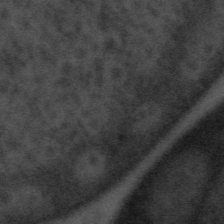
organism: Tuwongella immobilis